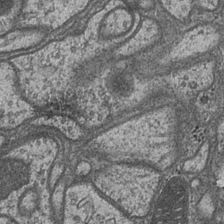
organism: Drosophila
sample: Optic medulla